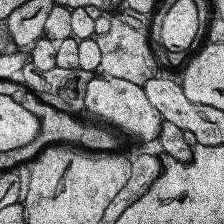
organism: Human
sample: Temporal Lobe